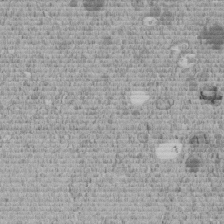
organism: C. elegans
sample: C. elegans embryo early stage